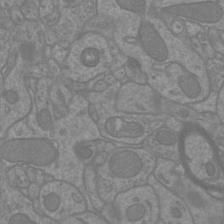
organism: Mouse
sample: Cortical neurons